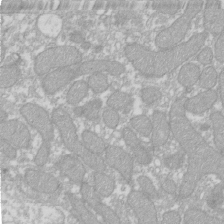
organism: Xenopus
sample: Cilia; centrioles in frog embryo cells